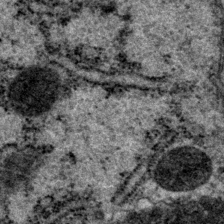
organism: P. pacificus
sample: Pharynx